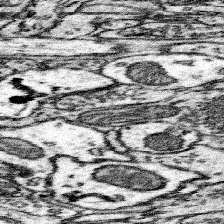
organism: Mouse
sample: Somatosensory cortex neuropil